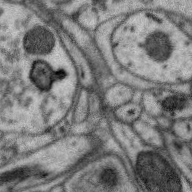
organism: Zebra finch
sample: Brain